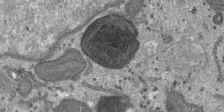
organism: Human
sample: Lung epithelial cells infected with SARS-CoV-2